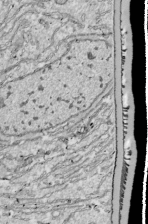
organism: Drosophila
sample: Cell division; meiosis; drosophila spermatocytes